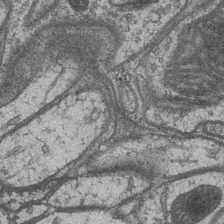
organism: Drosophila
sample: Optic medulla